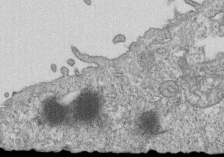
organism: Human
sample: HeLa cell HIV synapse